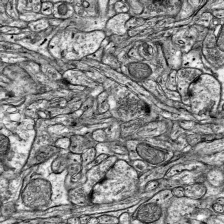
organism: Mouse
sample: Visual Cortex